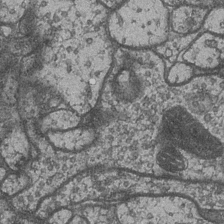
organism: Drosophila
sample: Optic medulla